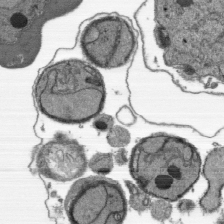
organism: Plasmodium falciparum